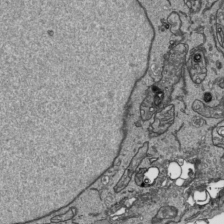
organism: Human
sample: Mitochondria in HCT116 cells